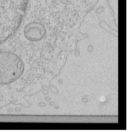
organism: Human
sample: Mitochondria in HCT116 cells